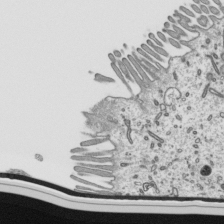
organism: Mouse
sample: Mouse epididymis efferent ductule cilia